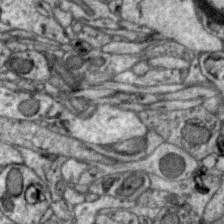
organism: Zebra finch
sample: Brain